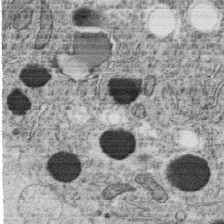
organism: C. elegans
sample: C. elegans oocyte; sperm cells